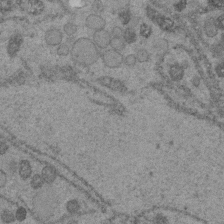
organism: C. elegans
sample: C. elegans embryo early stage